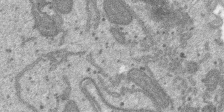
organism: Human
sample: Lung epithelial cells infected with SARS-CoV-2